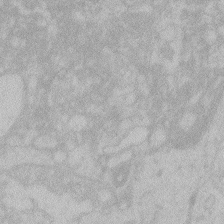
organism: Zebrafish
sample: Macrophage infected with Toxoplasma gondii